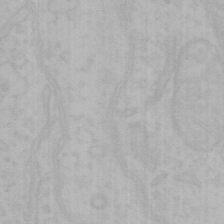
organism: Mouse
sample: Choroid plexus